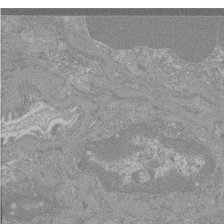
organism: Mouse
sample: Glomerulus